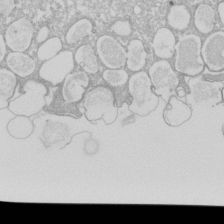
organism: Xenopus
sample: Cilia; centrioles in frog embryo cells